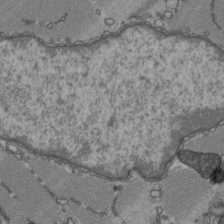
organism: C57BL Mouse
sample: Heart